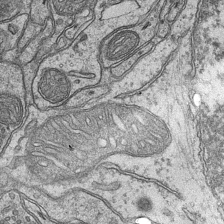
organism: Mouse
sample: CA1 Hippocampus